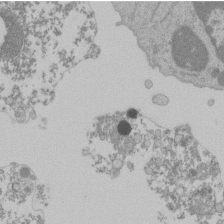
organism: Mouse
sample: Activated Pmel transgenic CD8+ T Cells